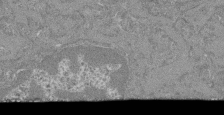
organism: Mouse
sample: Glomerulus